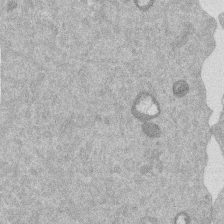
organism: Mouse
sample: Dividing mouse embryo 1 cell stage